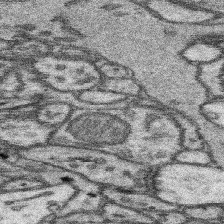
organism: Mouse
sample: Somatosensory cortex neuropil